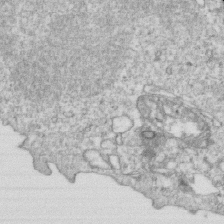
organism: Mouse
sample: Activated OT-1 CD8+ T cells